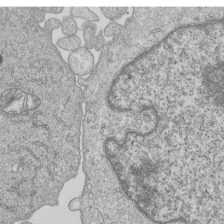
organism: Human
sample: MDA-MB-231 cells